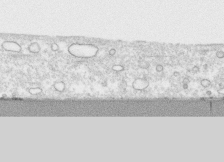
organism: Human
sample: CRL-1474